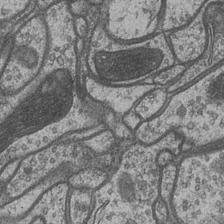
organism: Drosophila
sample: Optic medulla